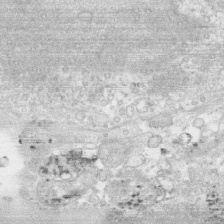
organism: Human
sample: CRL-1474